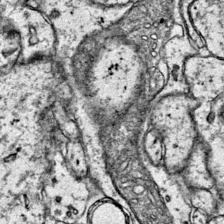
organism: Mouse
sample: Primary visual cortex